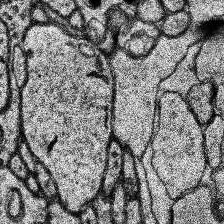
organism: Human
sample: Temporal Lobe